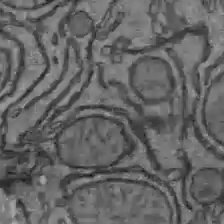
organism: C57BL Mouse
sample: Liver